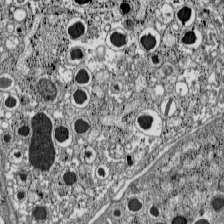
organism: C57BL Mouse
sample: Pancreatic islet